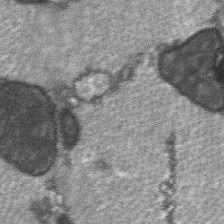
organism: C57BL Mouse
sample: Soleus